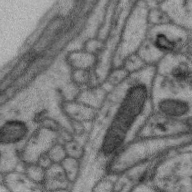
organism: Zebra finch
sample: Brain